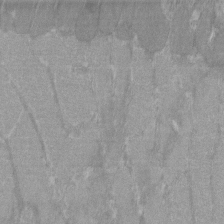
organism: C57BL Mouse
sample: Tibialis anterior muscle cell